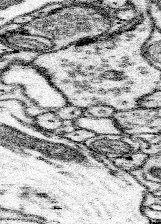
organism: Mouse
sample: Somatosensory cortex neuropil